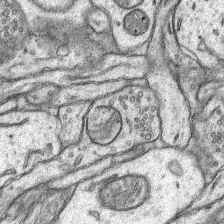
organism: Rat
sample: Hippocampus